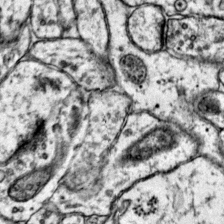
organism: Mouse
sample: Primary visual cortex